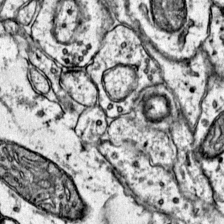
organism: Mouse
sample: Primary visual cortex